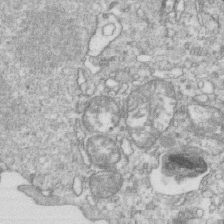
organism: Mouse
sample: Activated OT-1 CD8+ T cells